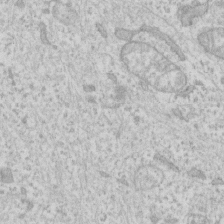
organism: Human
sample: Fibroblast cells